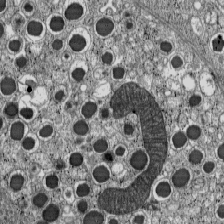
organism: C57BL Mouse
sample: Pancreatic islet